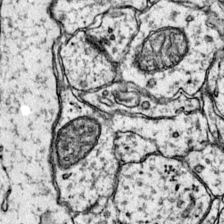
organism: Mouse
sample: Primary visual cortex